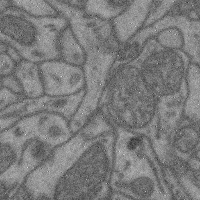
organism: Mouse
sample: Cerebral cortex